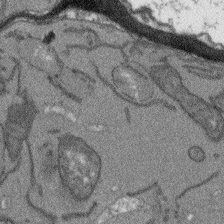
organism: Arabidopsis thaliana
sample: Root tip